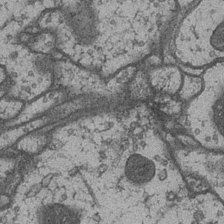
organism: Drosophila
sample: Optic medulla